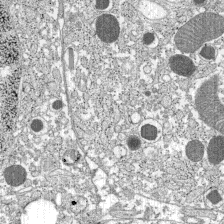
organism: C57BL Mouse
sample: Pancreatic islet